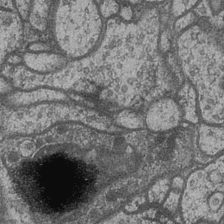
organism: Drosophila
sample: Optic medulla